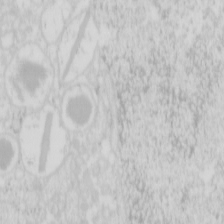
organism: Mouse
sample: Pancreas